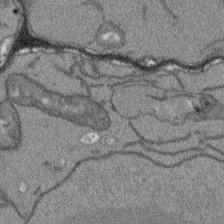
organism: Arabidopsis thaliana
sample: Root tip